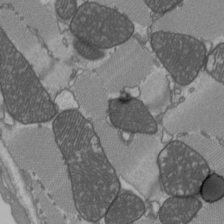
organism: C57BL Mouse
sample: Heart